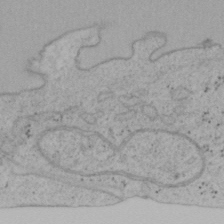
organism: Human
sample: HeLa cells